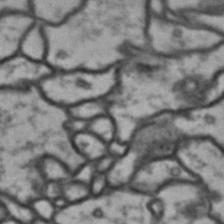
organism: Drosophila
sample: Brain